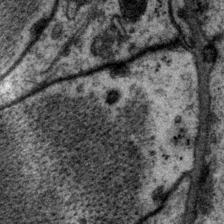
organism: P. pacificus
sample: Pharynx